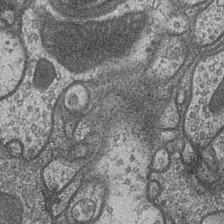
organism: Drosophila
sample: Optic medulla